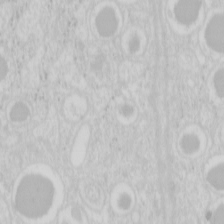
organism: Mouse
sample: Pancreas